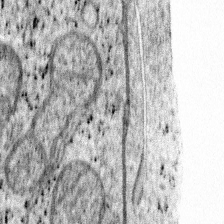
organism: Human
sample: HeLa cells